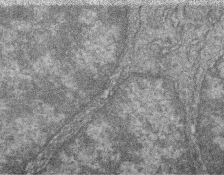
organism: Zebrafish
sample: Cilia; retinal pigment epithelium